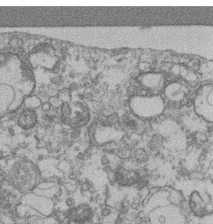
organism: Mouse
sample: T cell stromal cell synapse